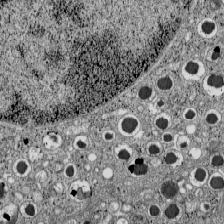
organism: C57BL Mouse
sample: Pancreatic islet